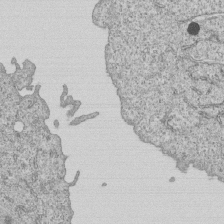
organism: Human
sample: MDA-MB-231 cells